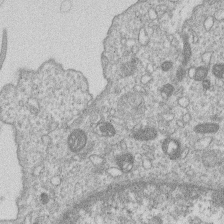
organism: Human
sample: Macrophage cells